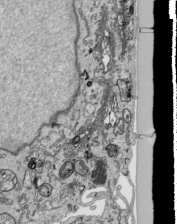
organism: Human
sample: Mitochondria in HCT116 cells